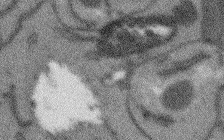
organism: Arabidopsis thaliana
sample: Root tip